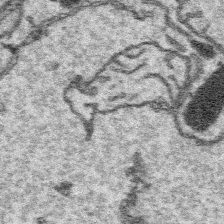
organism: Platynereis dumerilii